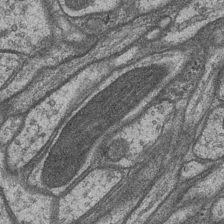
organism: Drosophila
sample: Optic medulla